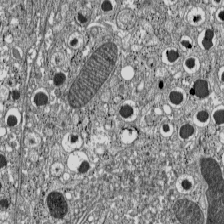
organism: C57BL Mouse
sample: Pancreatic islet